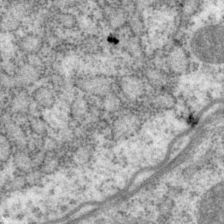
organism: P. pacificus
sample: Pharynx